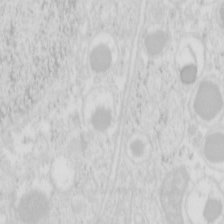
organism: Mouse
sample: Pancreas